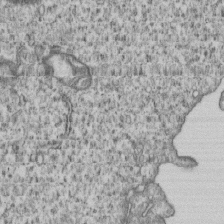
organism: Human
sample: MDA-MB-231 cells